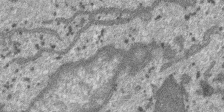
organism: Human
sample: Lung epithelial cells infected with SARS-CoV-2